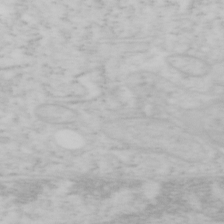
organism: Mouse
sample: OT-I killer T cells with ID8 ovarian cancer cells